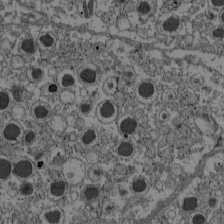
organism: C57BL Mouse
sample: Pancreatic islet